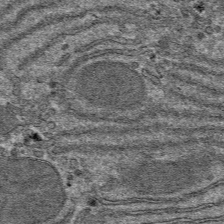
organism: Mouse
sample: Mouse hepatocytes